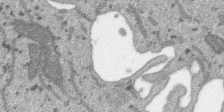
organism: Human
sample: Lung epithelial cells infected with SARS-CoV-2